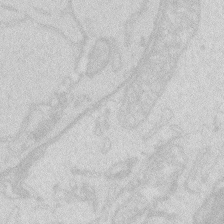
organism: Zebrafish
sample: Macrophage